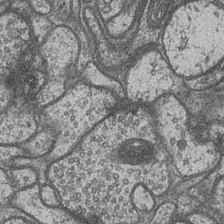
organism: Drosophila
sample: Optic medulla